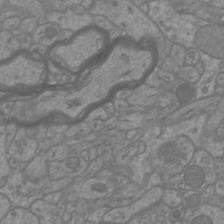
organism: Mouse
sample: Cortical neurons